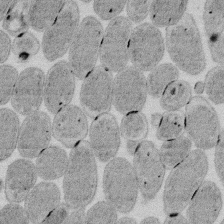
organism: E. coli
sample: Bacterial nucleoid